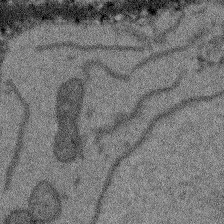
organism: Arabidopsis thaliana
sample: Root tip